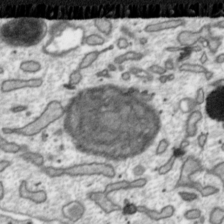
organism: Toxoplasma gondii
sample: Parasites in a vacuole inside a host cell